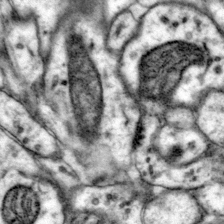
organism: Mouse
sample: Primary visual cortex